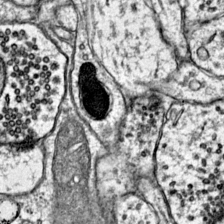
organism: Mouse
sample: Primary visual cortex